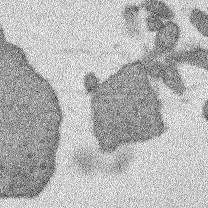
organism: Human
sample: HeLa cells